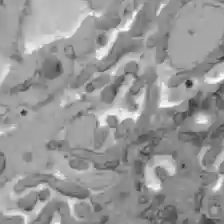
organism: C57BL Mouse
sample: Liver